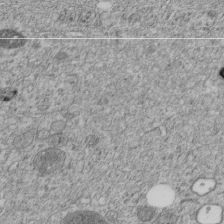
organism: C. elegans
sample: C. elegans embryo early stage